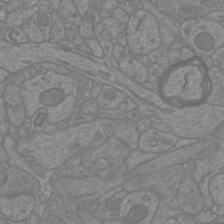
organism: Mouse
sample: Cortical neurons